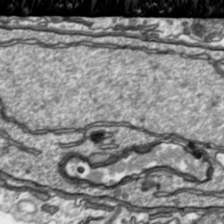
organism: Toxoplasma gondii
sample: Parasites in a vacuole inside a host cell